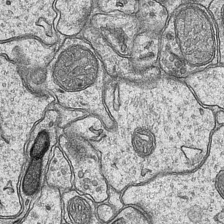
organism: Mouse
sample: CA1 Hippocampus